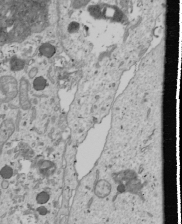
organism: Human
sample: Mitochondria in U2OS cells